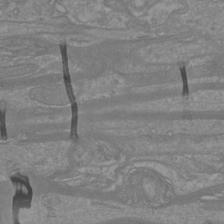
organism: Mouse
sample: Cortical neurons